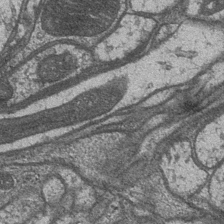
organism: Drosophila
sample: Optic medulla